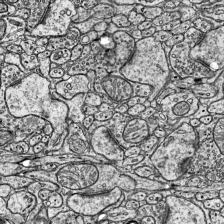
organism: Mouse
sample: Visual Cortex